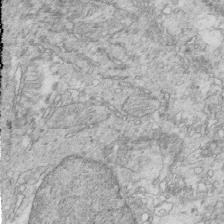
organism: Mouse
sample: Multiciliated cells